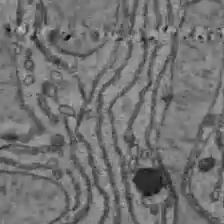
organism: C57BL Mouse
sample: Liver